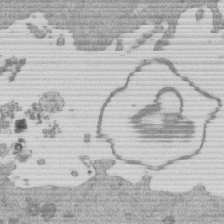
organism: Mouse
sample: Dividing mouse embryo 1 cell stage